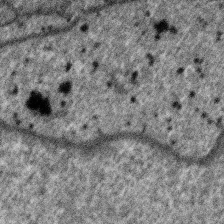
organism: Human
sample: Lung epithelial cells infected with SARS-CoV-2